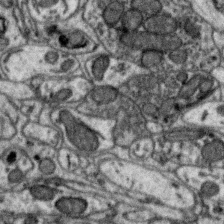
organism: Zebra finch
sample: Brain